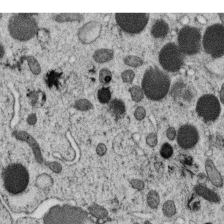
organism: C. elegans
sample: C. elegans oocyte; sperm cells